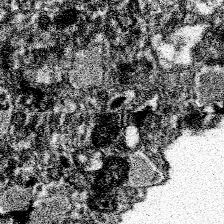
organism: Spongilla lacustris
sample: Neuroid cell